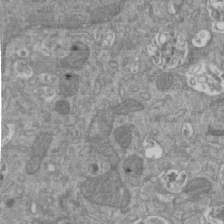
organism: Mouse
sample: ED-1 cell nuclei; centrioles